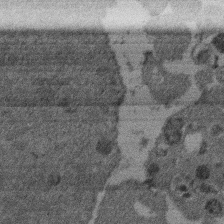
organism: Mouse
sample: Dividing mouse embryo 1 cell stage